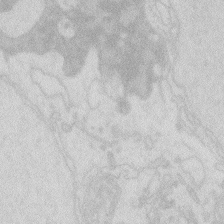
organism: Zebrafish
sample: Macrophage